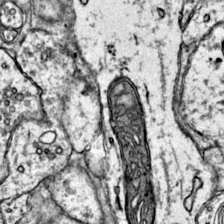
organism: Mouse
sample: Primary visual cortex